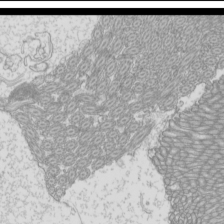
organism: Mouse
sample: Cilia; mouse epididymis